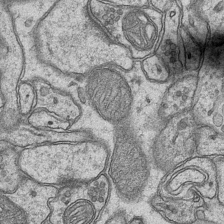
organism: Mouse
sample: CA1 Hippocampus